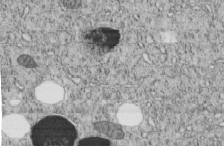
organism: C. elegans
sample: C. elegans embryo early stage